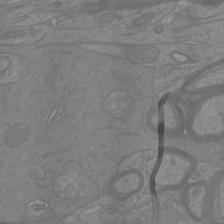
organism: Mouse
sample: Cortical neurons